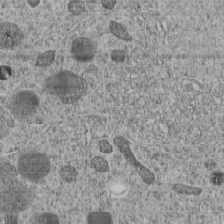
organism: C. elegans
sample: C. elegans embryo early stage